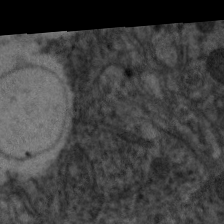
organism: C. elegans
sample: Pharynx